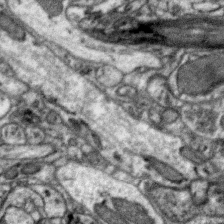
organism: Zebra finch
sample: Brain